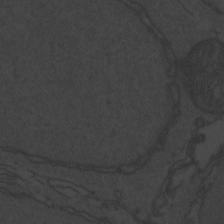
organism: Zebrafish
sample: Macrophage infected with Toxoplasma gondii